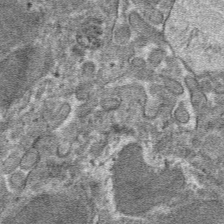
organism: Mouse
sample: Mouse hepatocytes